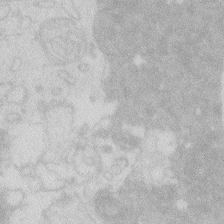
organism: Zebrafish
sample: Macrophage